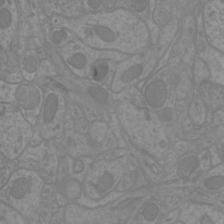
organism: Mouse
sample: Cortical neurons